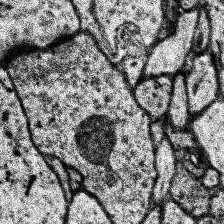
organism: Human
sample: Temporal Lobe